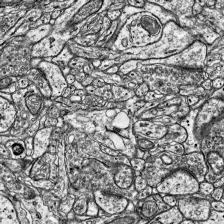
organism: Mouse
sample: Visual Cortex